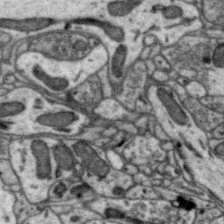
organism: Zebra finch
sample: Brain